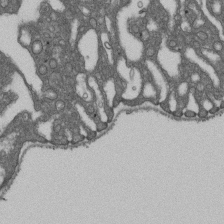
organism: Drosophila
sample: Nephrocyte